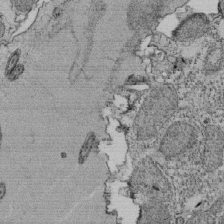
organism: Tetrahymena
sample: Cilia in tetrahymena